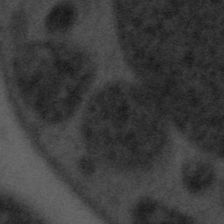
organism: Tuwongella immobilis